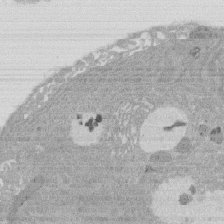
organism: Rat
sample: Salivary granule